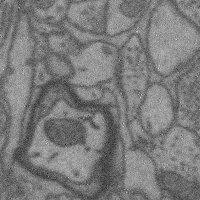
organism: Mouse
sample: Cerebral cortex